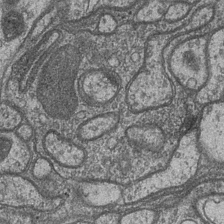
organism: Drosophila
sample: Optic medulla